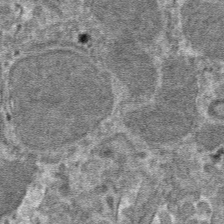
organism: Mouse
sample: Mouse hepatocytes